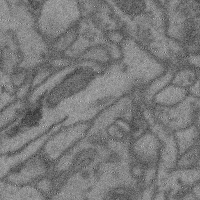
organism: Mouse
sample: Cerebral cortex